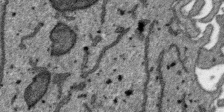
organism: Human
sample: Lung epithelial cells, uninfected (mock) control